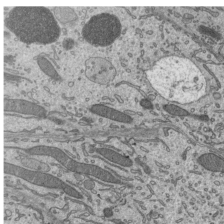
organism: Mouse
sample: Mouse epididymis efferent ductule cilia